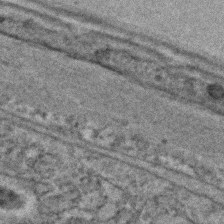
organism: C. elegans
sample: C. elegans embryo